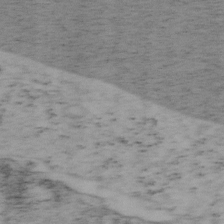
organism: Mouse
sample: OT-I killer T cells with ID8 ovarian cancer cells